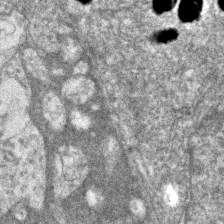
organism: Zebrafish